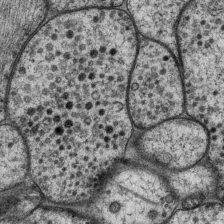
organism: P. pacificus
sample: Pharynx